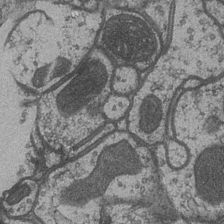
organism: Drosophila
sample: Optic medulla